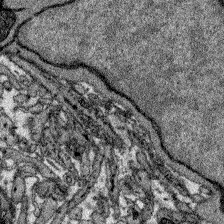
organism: Zebrafish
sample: Larval olfactory bulb